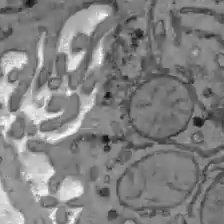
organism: C57BL Mouse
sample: Liver